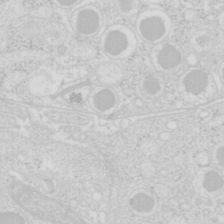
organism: Mouse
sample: Pancreas